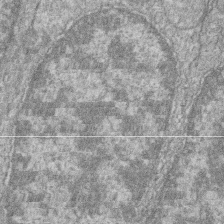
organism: Zebrafish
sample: Cilia; retinal pigment epithelium